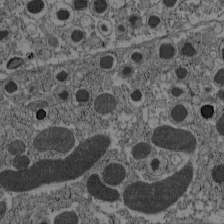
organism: C57BL Mouse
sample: Pancreatic islet